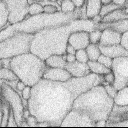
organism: Rabbit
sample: Retina